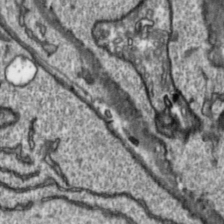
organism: Toxoplasma gondii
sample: Parasites in a vacuole inside a host cell